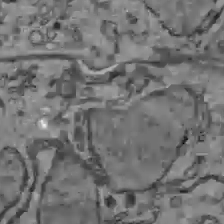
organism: C57BL Mouse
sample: Liver